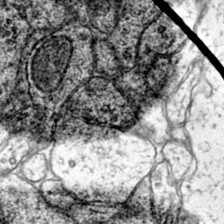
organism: Mouse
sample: Primary visual cortex